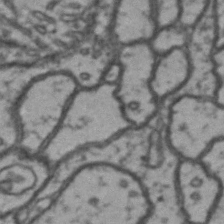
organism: Drosophila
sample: Brain